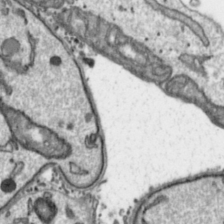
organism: Toxoplasma gondii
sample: Parasites in a vacuole inside a host cell